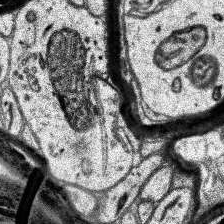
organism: Human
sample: Temporal Lobe